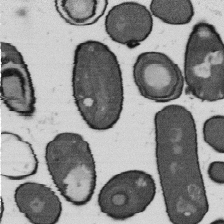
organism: B. subtilis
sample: Bacterial spore